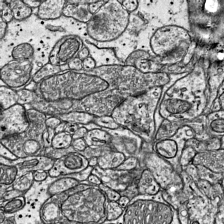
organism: Mouse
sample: Visual Cortex